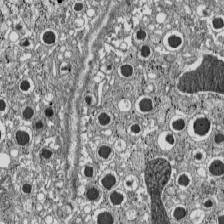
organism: C57BL Mouse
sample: Pancreatic islet